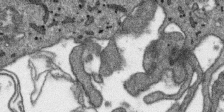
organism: Human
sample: Lung epithelial cells, uninfected (mock) control